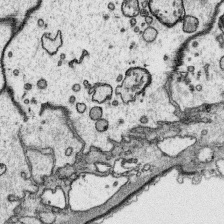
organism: Platynereis dumerilii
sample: Parapodia